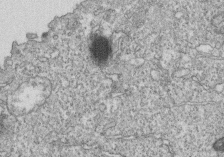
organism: Human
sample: HeLa cell HIV synapse